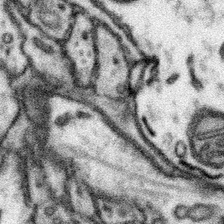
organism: Mouse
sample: Somatosensory cortex neuropil